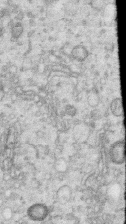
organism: Human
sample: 1205lu cells